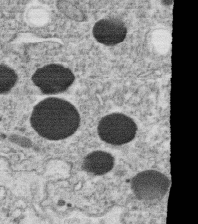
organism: C. elegans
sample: C. elegans oocyte; sperm cells